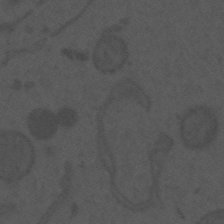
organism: Mouse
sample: Suprachiasmatic nucleus